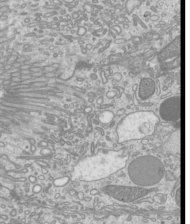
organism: Mouse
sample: Cilia; mouse epididymis